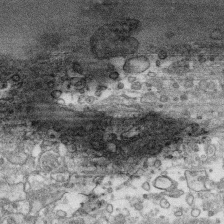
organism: Human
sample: CRL-1474